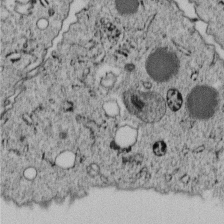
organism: C. elegans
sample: C. elegans embryo early stage